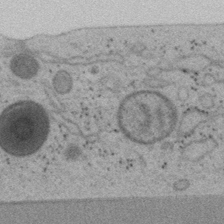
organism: Human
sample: HeLa cells